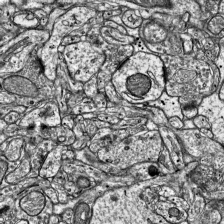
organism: Mouse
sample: Visual Cortex